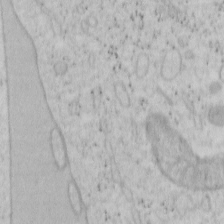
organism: Human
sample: HeLa cells